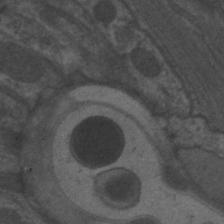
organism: C. elegans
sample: Pharynx